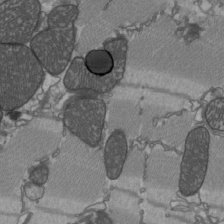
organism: C57BL Mouse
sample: Heart